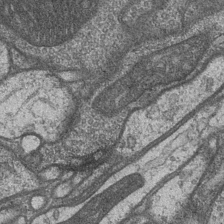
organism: Drosophila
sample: Optic medulla